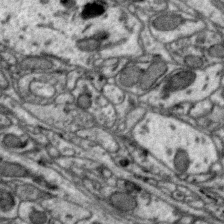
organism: Zebra finch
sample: Brain